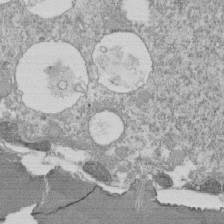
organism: Tetrahymena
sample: Cilia in tetrahymena